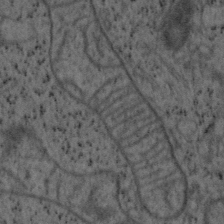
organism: Human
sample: HeLa cells